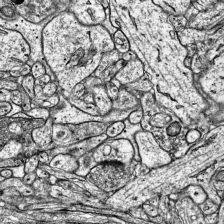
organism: Mouse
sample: Visual Cortex